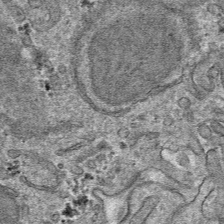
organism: Mouse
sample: Mouse hepatocytes